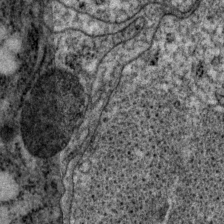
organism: P. pacificus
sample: Pharynx